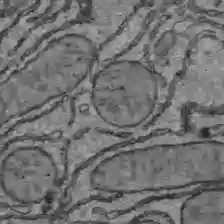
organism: C57BL Mouse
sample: Liver